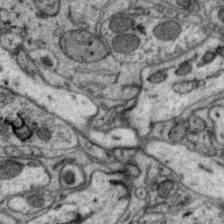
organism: Zebra finch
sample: Brain